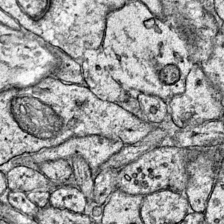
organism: Mouse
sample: Primary visual cortex